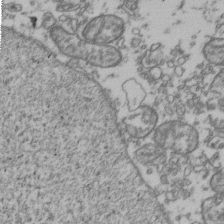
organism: Human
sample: Activated Jurkat CD4+ T cells